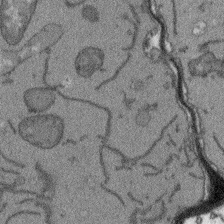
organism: Arabidopsis thaliana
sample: Root tip